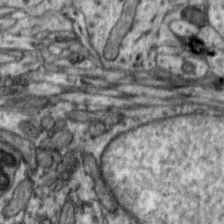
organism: Zebra finch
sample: Brain